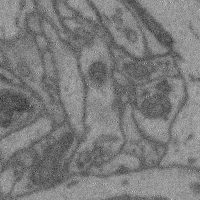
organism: Mouse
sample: Cerebral cortex